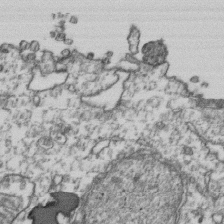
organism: Human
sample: Activated Jurkat CD4+ T cells